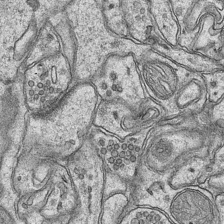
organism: Mouse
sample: CA1 Hippocampus